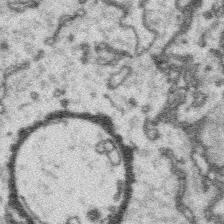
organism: Platynereis dumerilii